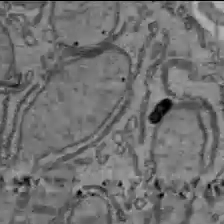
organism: C57BL Mouse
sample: Liver